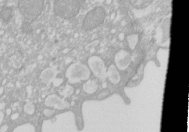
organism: Xenopus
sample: Cilia; centrioles in frog embryo cells